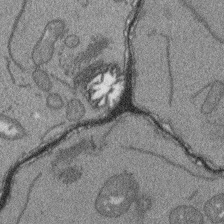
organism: Arabidopsis thaliana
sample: Root tip